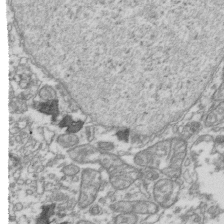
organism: Human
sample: Activated Jurkat CD4+ T cells